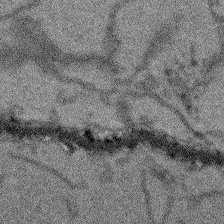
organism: Arabidopsis thaliana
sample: Root tip